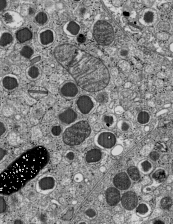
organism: C57BL Mouse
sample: Pancreatic islet